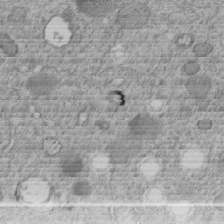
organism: C. elegans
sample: C. elegans embryo early stage